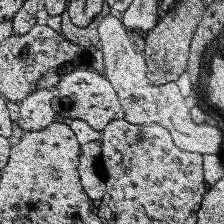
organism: Human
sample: Temporal Lobe